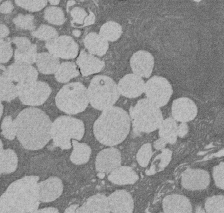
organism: Rat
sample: Salivary granule